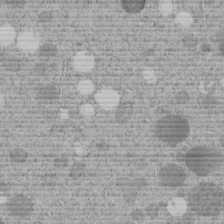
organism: C. elegans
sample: C. elegans embryo early stage